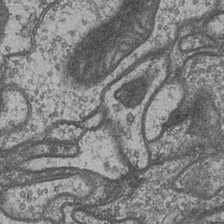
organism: Drosophila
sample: Optic medulla